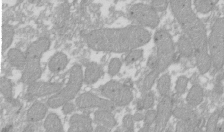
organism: Xenopus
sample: Cilia; centrioles in frog embryo cells